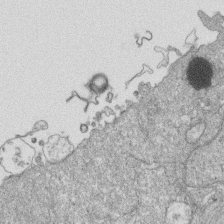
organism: Human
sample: HeLa cell HIV synapse